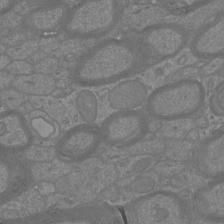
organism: Mouse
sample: Cortical neurons